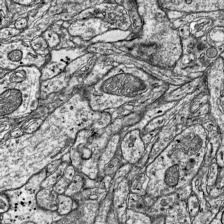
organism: Mouse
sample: Visual Cortex